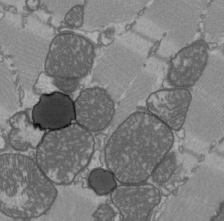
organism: C57BL Mouse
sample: Heart